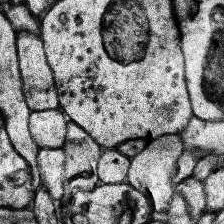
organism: Human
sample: Temporal Lobe